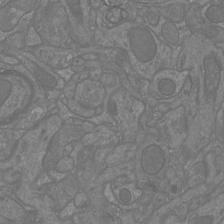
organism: Mouse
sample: Cortical neurons